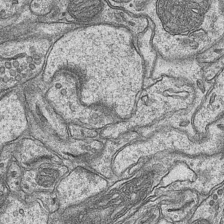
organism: Mouse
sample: CA1 Hippocampus